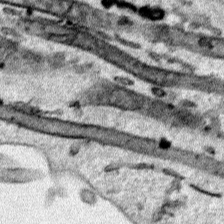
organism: Human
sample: Mitochondria in HCT116 cells